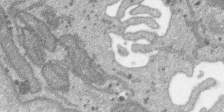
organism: Human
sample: Lung epithelial cells infected with SARS-CoV-2